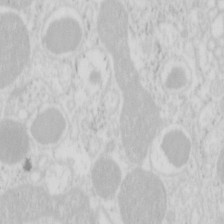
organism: Mouse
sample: Pancreas